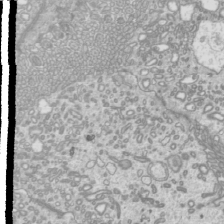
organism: Mouse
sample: Cilia; mouse epididymis